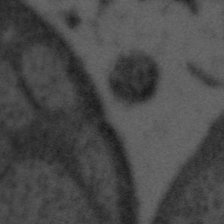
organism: Tuwongella immobilis